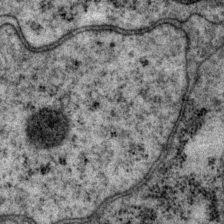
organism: P. pacificus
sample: Pharynx